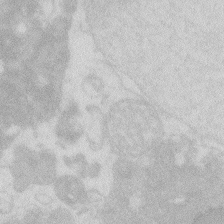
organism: Zebrafish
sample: Macrophage